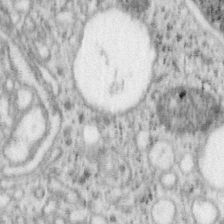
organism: Mouse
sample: OT-I killer T cells with ID8 ovarian cancer cells